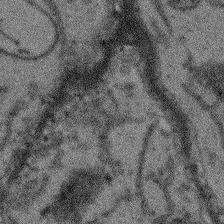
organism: Arabidopsis thaliana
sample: Root tip